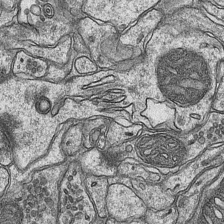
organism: Mouse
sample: CA1 Hippocampus